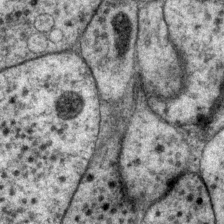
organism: P. pacificus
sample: Pharynx